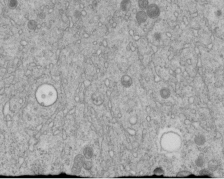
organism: C. elegans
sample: C. elegans embryo early stage